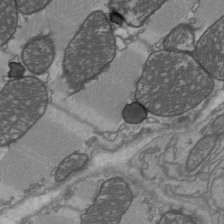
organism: C57BL Mouse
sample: Heart